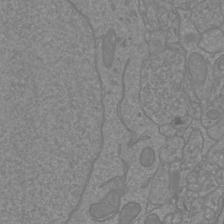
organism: Mouse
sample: Cortical neurons